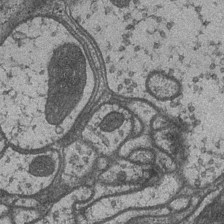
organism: Drosophila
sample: Optic medulla